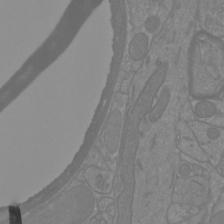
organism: Mouse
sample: Cortical neurons